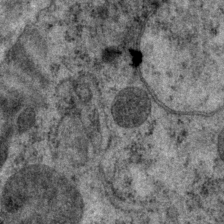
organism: P. pacificus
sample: Pharynx